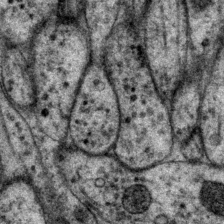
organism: P. pacificus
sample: Pharynx